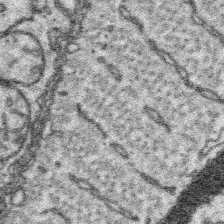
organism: Platynereis dumerilii